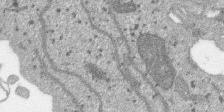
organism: Human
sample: Lung epithelial cells infected with SARS-CoV-2